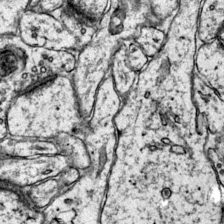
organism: Mouse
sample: Primary visual cortex